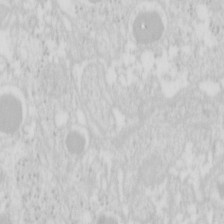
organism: Mouse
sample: Pancreas